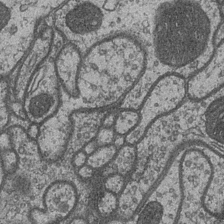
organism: Drosophila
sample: Optic medulla